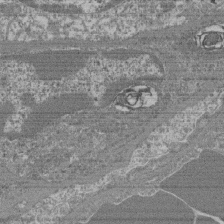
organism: Mouse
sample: Glomerulus